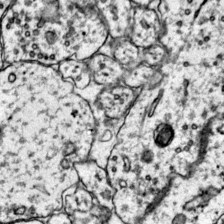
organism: Mouse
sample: Primary visual cortex